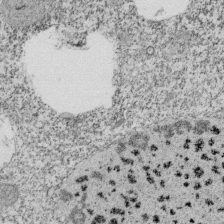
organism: Tetrahymena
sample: Cilia in tetrahymena